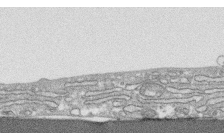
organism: Human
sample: CRL-1474